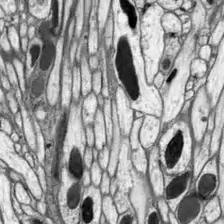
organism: Drosophila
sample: Optic lobe